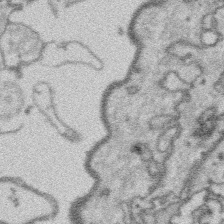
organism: Platynereis dumerilii